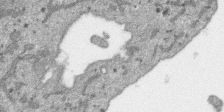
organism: Human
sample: Lung epithelial cells infected with SARS-CoV-2